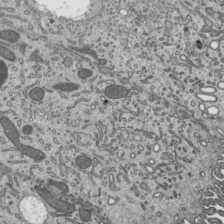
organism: Mouse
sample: Mouse epididymis efferent ductule cilia